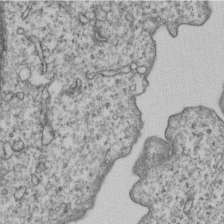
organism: Human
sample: MDA-MB-231 cells